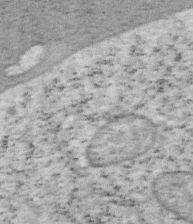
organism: Mouse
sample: OT-I killer T cells with ID8 ovarian cancer cells